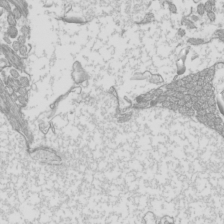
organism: Mouse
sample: Cilia; mouse epididymis